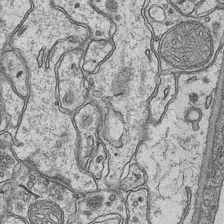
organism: Mouse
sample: CA1 Hippocampus